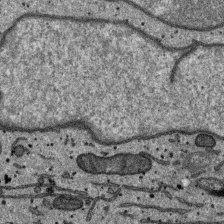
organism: Human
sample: Lung epithelial cells, uninfected (mock) control